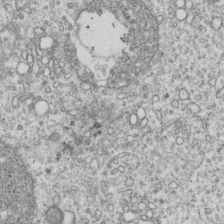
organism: Human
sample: MDA-MB-231 cells